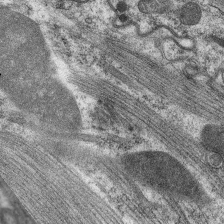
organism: C. elegans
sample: Pharynx